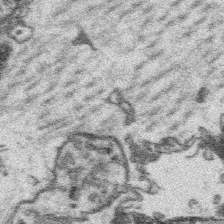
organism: Platynereis dumerilii